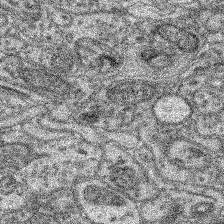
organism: Mouse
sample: Retina